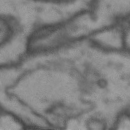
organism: Drosophila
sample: Brain